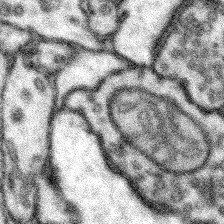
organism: Mouse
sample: Somatosensory cortex neuropil